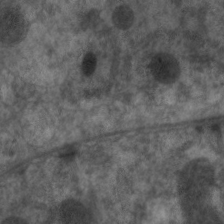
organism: C. elegans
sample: Pharynx